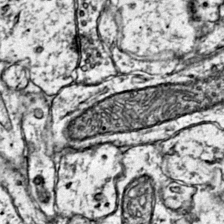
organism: Mouse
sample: Primary visual cortex